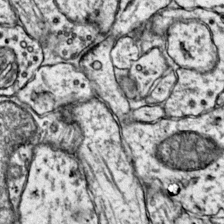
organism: Mouse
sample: Primary visual cortex